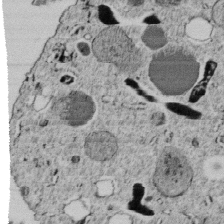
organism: C. elegans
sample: C. elegans embryo early stage